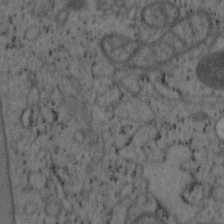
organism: Human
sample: HeLa cells